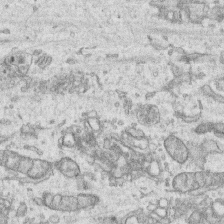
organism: Human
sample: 1205lu cells